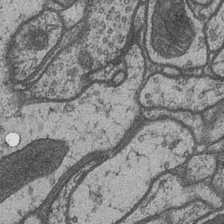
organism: Drosophila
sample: Optic medulla